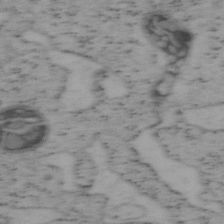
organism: Mouse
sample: OT-I killer T cells with ID8 ovarian cancer cells